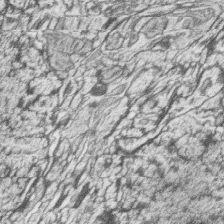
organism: Zebrafish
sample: synaptic ribbons in rod cells and cone cells